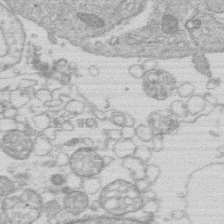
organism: Human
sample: Macrophage cells